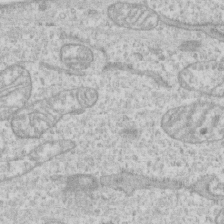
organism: Human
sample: CRL-1474